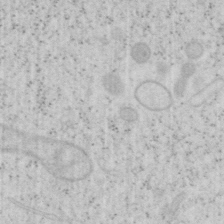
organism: Human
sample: HeLa cells